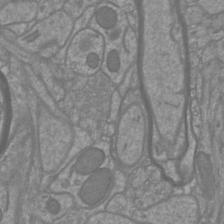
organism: Mouse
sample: Cortical neurons